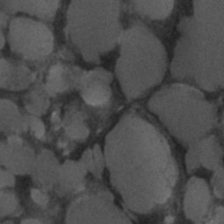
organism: C. elegans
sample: C. elegans embryo